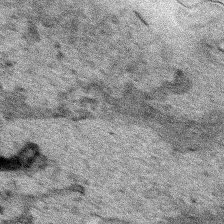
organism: Human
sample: Mitochondria in HCT116 cells